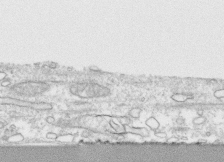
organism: Human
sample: CRL-1474